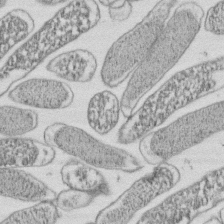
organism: E. coli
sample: Bacterial nucleoid